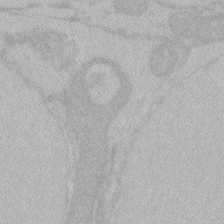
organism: Zebrafish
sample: Macrophage infected with Toxoplasma gondii